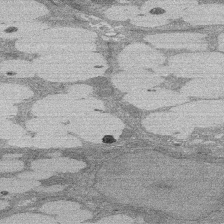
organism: Rat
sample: Salivary granule